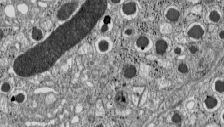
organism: C57BL Mouse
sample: Pancreatic islet